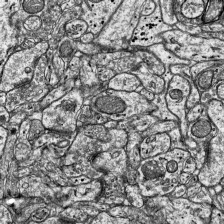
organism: Mouse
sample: Visual Cortex